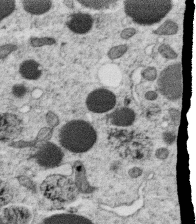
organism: C. elegans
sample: C. elegans oocyte; sperm cells